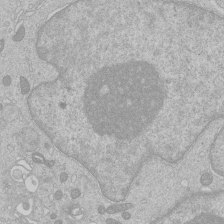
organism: Human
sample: Macrophage cells